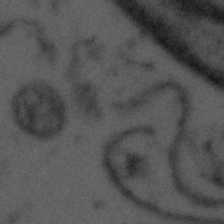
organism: Tuwongella immobilis